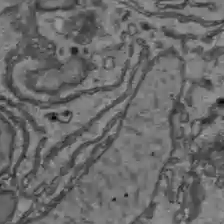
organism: C57BL Mouse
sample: Liver